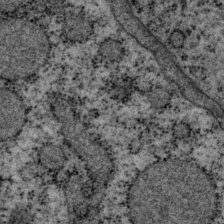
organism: P. pacificus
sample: Pharynx